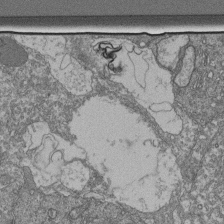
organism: Human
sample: Retinal organoid Rod and Cone cells